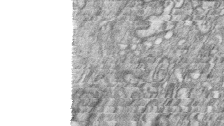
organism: Zebrafish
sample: synaptic ribbons in rod cells and cone cells